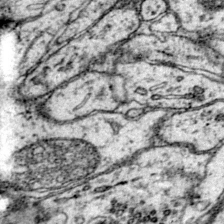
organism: Mouse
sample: Primary visual cortex